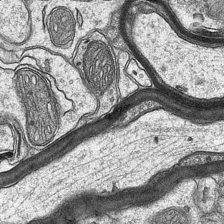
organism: Mouse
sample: CA1 Hippocampus